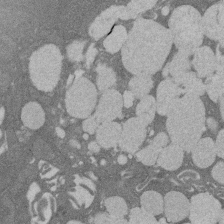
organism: Rat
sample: Salivary granule